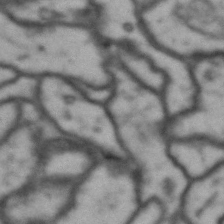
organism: Drosophila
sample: Brain